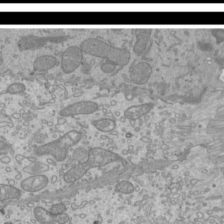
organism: Mouse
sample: Cilia; mouse epididymis